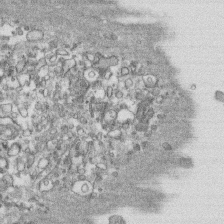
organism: Human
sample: CRL-1474